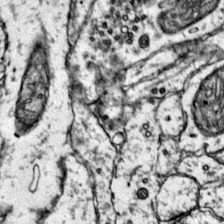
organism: Mouse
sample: Primary visual cortex